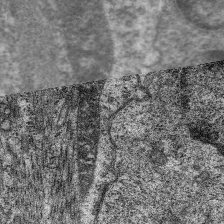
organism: C. elegans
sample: Pharynx